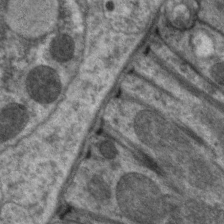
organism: C. elegans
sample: Pharynx